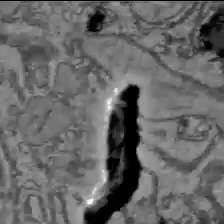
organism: C57BL Mouse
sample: Liver